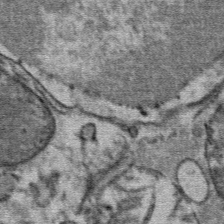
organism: Mouse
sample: Mouse Salivary gland